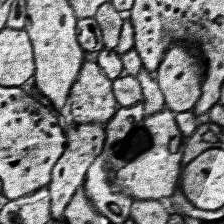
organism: Human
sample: Temporal Lobe